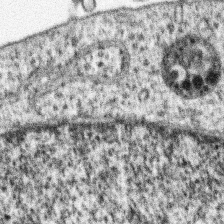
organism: Human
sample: HeLa cells